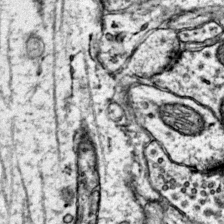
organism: Mouse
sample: Primary visual cortex